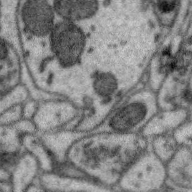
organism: Zebra finch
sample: Brain